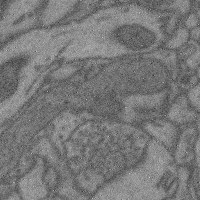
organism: Mouse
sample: Cerebral cortex